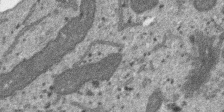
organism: Human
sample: Lung epithelial cells infected with SARS-CoV-2